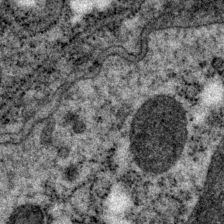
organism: P. pacificus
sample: Pharynx